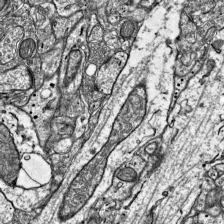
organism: Mouse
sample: Visual Cortex